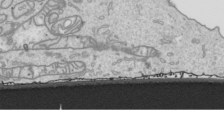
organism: Human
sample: Mitochondria in HCT116 cells